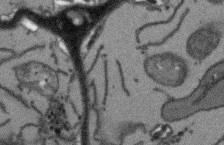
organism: Arabidopsis thaliana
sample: Root tip